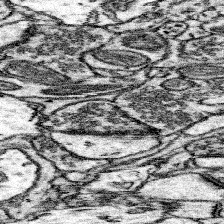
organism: Mouse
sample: Somatosensory cortex neuropil